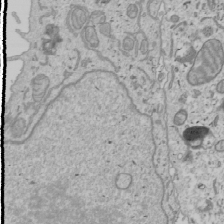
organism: Human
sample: Mitochondria in U2OS cells